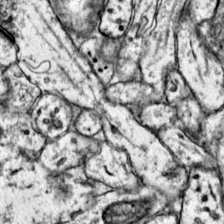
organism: Mouse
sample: Primary visual cortex